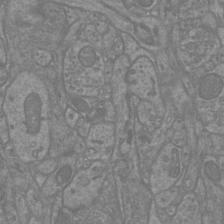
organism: Mouse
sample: Cortical neurons